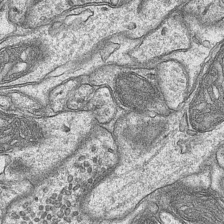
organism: Mouse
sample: CA1 Hippocampus